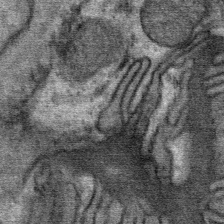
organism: Mouse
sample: Mouse Salivary gland